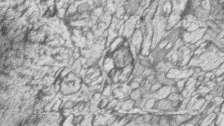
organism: Zebrafish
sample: synaptic ribbons in rod cells and cone cells